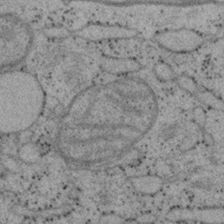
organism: Human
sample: HeLa cells